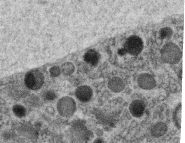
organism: C. elegans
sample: C. elegans oocyte; sperm cells